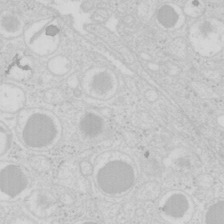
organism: Mouse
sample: Pancreas